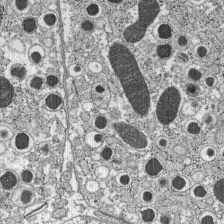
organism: C57BL Mouse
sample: Pancreatic islet